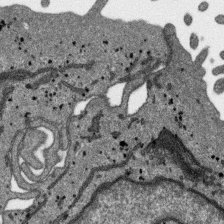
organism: Human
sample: Lung epithelial cells, uninfected (mock) control